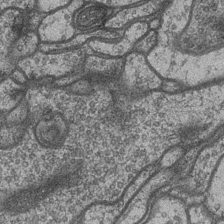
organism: Drosophila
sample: Optic medulla